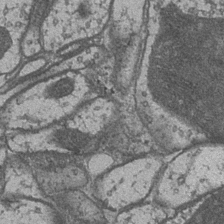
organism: Drosophila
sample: Optic medulla